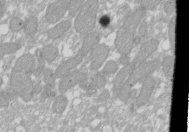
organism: Xenopus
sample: Cilia; centrioles in frog embryo cells